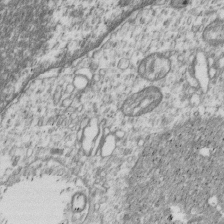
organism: Human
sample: MDA-MB-231 cells